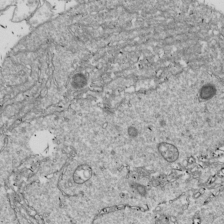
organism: Drosophila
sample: Cell division; meiosis; drosophila spermatocytes